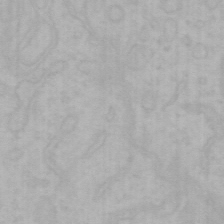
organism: Mouse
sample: Choroid plexus